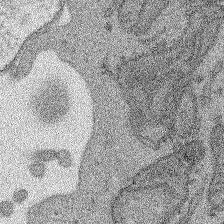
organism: Human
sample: HeLa cells